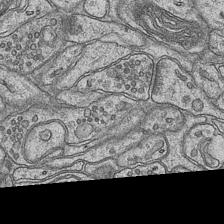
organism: Mouse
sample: CA1 Hippocampus